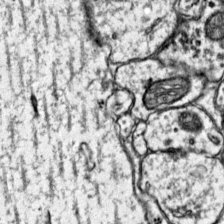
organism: Mouse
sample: Primary visual cortex